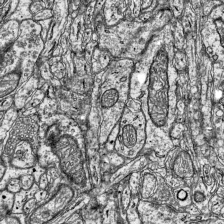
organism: Mouse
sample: Visual Cortex